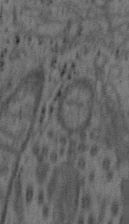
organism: Human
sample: HeLa cells